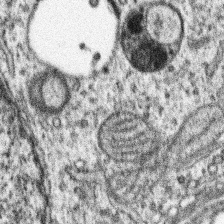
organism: Human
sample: HeLa cells